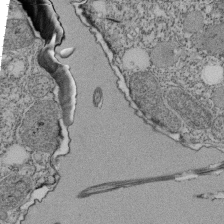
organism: Tetrahymena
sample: Cilia in tetrahymena